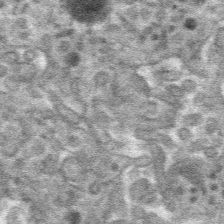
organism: Mouse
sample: Mouse hepatocytes